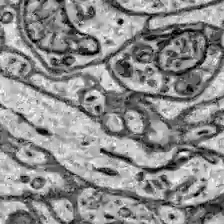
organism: Zebrafish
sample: Brain